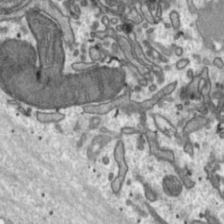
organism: Toxoplasma gondii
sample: Parasites in a vacuole inside a host cell